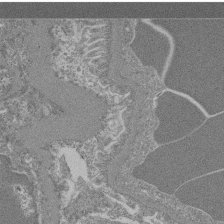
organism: Mouse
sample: Glomerulus